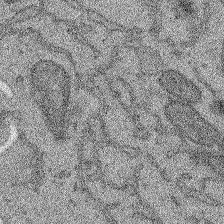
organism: Human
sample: HeLa cells